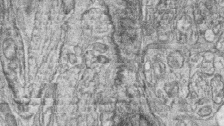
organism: Zebrafish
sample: synaptic ribbons in rod cells and cone cells